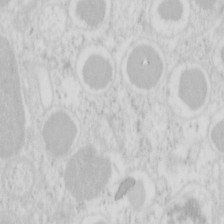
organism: Mouse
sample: Pancreas